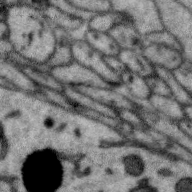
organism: Zebra finch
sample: Brain